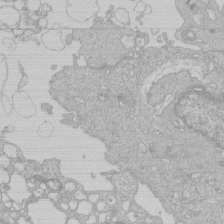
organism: Human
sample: Macrophage cells